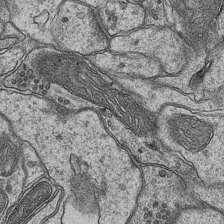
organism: Mouse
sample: CA1 Hippocampus